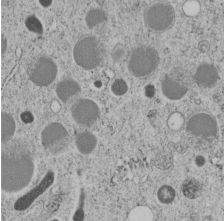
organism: C. elegans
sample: C. elegans embryo early stage